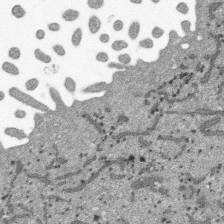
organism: Human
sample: Lung epithelial cells infected with SARS-CoV-2